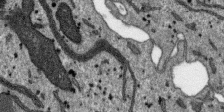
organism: Human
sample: Lung epithelial cells, uninfected (mock) control